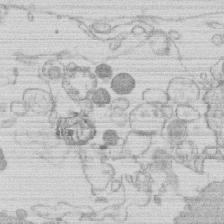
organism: Human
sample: Macrophage cells